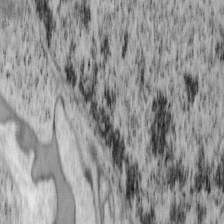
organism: Human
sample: HeLa cells